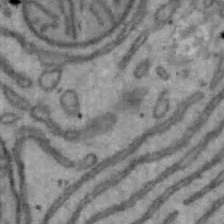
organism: Mouse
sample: Liver